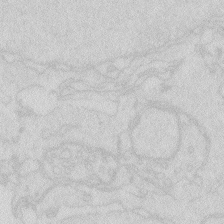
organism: Zebrafish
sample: Macrophage